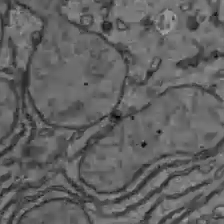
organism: C57BL Mouse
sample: Liver